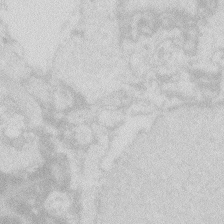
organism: Zebrafish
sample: Macrophage